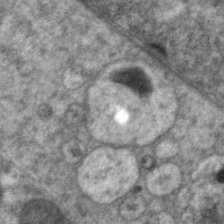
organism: C. elegans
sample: Pharynx